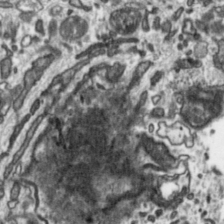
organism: Toxoplasma gondii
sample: Parasites in a vacuole inside a host cell